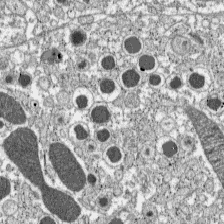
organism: C57BL Mouse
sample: Pancreatic islet